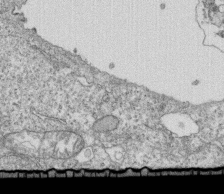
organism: Human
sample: HeLa cell HIV synapse